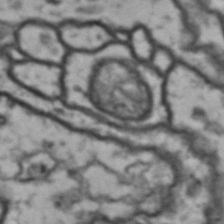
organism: Drosophila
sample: Brain